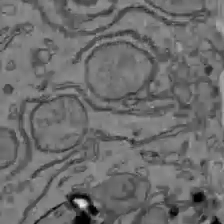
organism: C57BL Mouse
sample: Liver